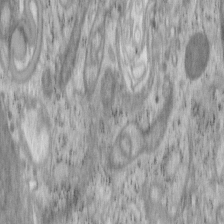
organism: Human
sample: HeLa cells